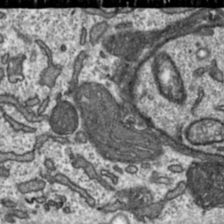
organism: Toxoplasma gondii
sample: Parasites in a vacuole inside a host cell